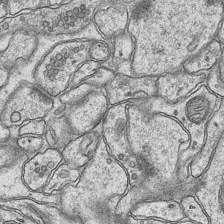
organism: Mouse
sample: CA1 Hippocampus